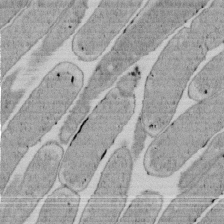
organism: E. coli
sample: Bacterial nucleoid